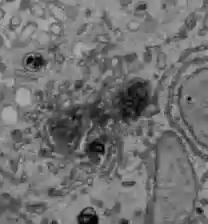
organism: C57BL Mouse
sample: Liver